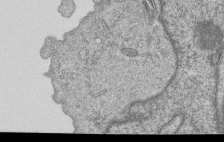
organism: Human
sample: MDA-MB-231 cells